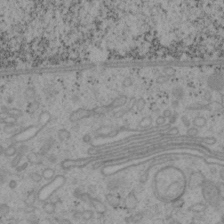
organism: Human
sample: HeLa cells